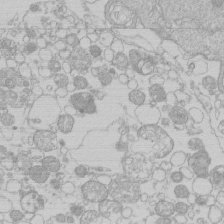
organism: Human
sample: Macrophage cells